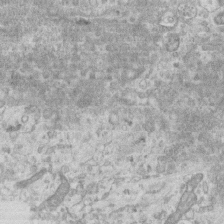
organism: Mouse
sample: Centriole in ependymal cells